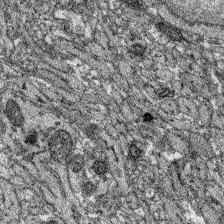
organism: Zebrafish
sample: Larval olfactory bulb